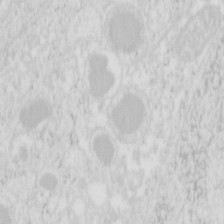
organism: Mouse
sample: Pancreas